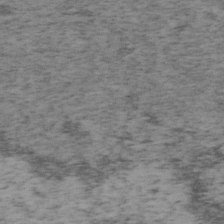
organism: Mouse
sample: OT-I killer T cells with ID8 ovarian cancer cells